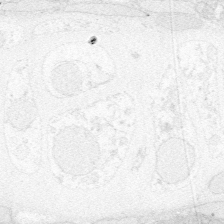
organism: Zebrafish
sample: Whole-Brain